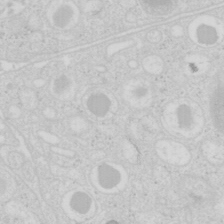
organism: Mouse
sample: Pancreas